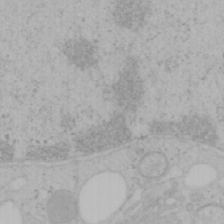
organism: Mouse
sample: OT-I killer T cells with ID8 ovarian cancer cells